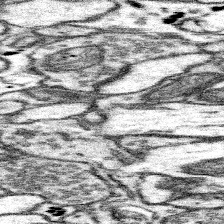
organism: Mouse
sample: Somatosensory cortex neuropil